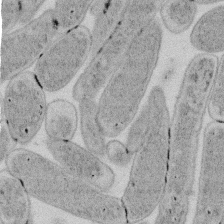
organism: E. coli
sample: Bacterial nucleoid